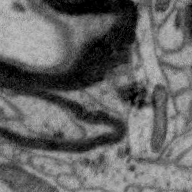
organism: Zebra finch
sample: Brain